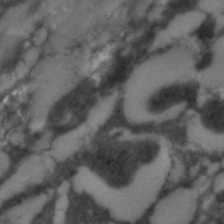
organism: C. elegans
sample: C. elegans embryo